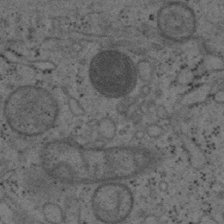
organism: Human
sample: HeLa cells